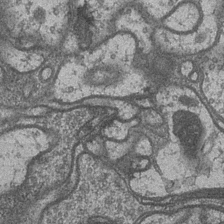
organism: Drosophila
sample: Optic medulla